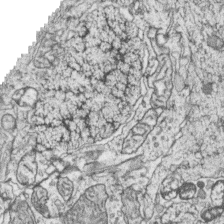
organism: Zebrafish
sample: synaptic ribbons in rod cells and cone cells